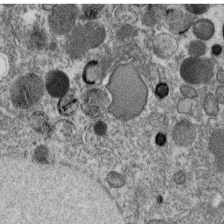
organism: C. elegans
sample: C. elegans oocyte; sperm cells